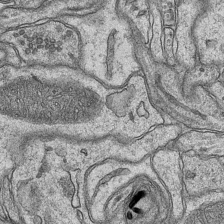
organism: Mouse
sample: CA1 Hippocampus